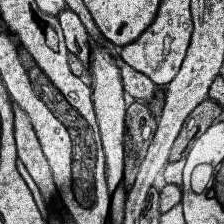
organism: Human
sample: Temporal Lobe